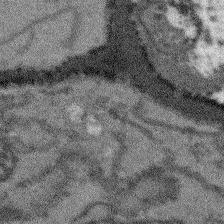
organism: Arabidopsis thaliana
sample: Root tip